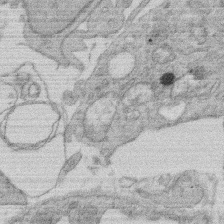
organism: Rat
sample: Salivary granule